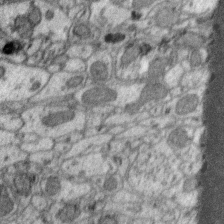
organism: Zebra finch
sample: Brain